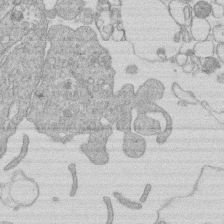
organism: Human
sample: Macrophage cells